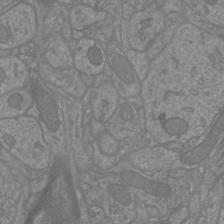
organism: Mouse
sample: Cortical neurons